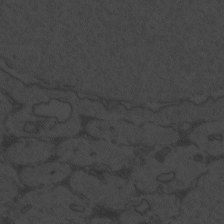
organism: Zebrafish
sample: Macrophage infected with Toxoplasma gondii